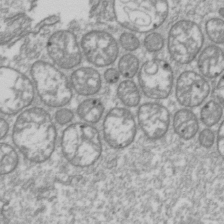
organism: Drosophila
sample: Cell division; meiosis; drosophila spermatocytes